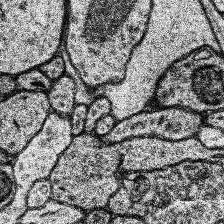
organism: Human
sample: Temporal Lobe